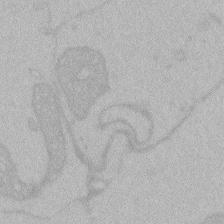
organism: Zebrafish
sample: Macrophage infected with Toxoplasma gondii